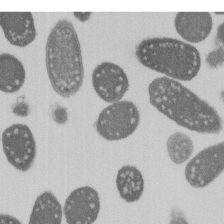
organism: E. coli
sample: Bacterial nucleoid